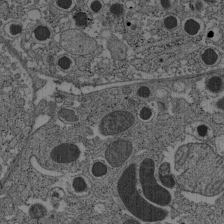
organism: C57BL Mouse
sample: Pancreatic islet